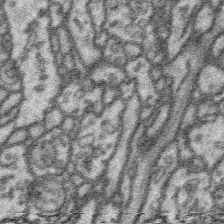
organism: Platynereis dumerilii